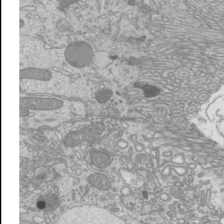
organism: Mouse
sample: Cilia; mouse epididymis